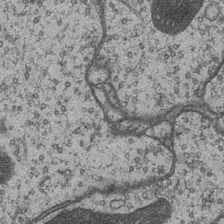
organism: Drosophila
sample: Optic medulla